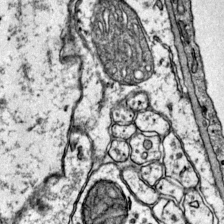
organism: Mouse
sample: Primary visual cortex